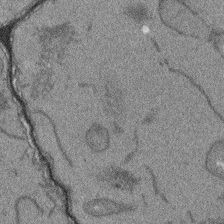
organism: Arabidopsis thaliana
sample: Root tip